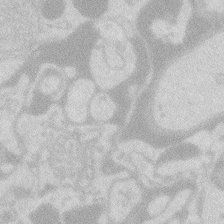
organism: Zebrafish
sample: Macrophage